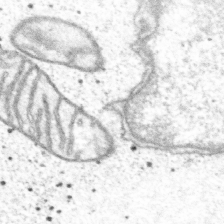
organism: Human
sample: HeLa cells